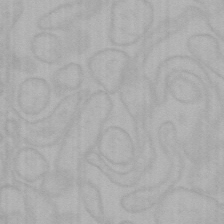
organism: Mouse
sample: Choroid plexus